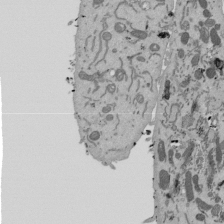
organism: Mouse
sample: ED-1 cell nuclei; centrioles